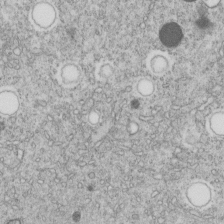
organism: C. elegans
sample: C. elegans embryo early stage